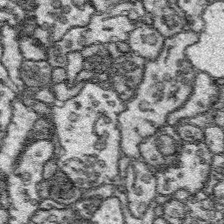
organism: Platynereis dumerilii